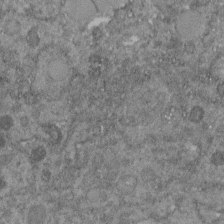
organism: C. elegans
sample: C. elegans embryo early stage